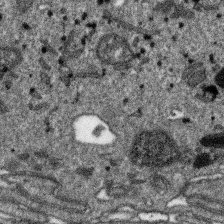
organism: Human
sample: Lung epithelial cells infected with SARS-CoV-2